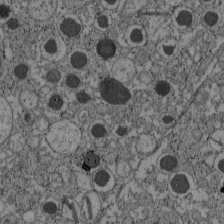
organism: C57BL Mouse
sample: Pancreatic islet